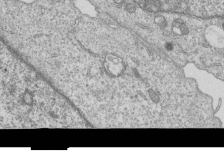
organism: Human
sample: MDA-MB-231 cells